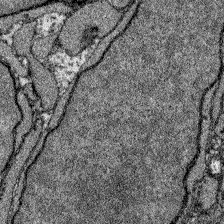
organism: Zebrafish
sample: Larval olfactory bulb